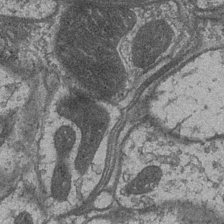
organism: Drosophila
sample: Optic medulla